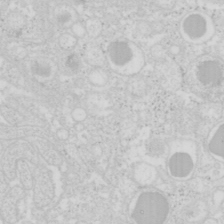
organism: Mouse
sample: Pancreas